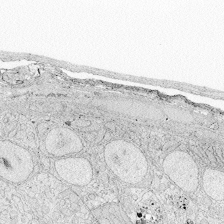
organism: Zebrafish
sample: Whole-Brain